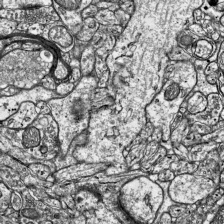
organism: Mouse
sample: Visual Cortex